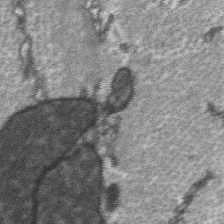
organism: C57BL Mouse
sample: Soleus